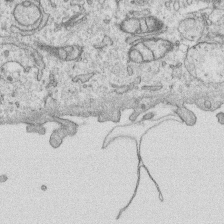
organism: Human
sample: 1205lu cells